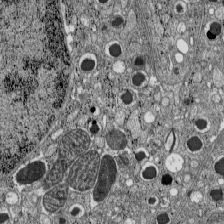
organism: C57BL Mouse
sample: Pancreatic islet